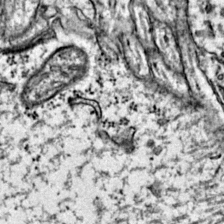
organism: Mouse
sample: Primary visual cortex